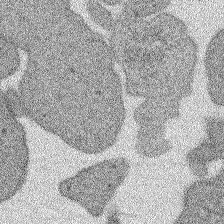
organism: Human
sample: HeLa cells